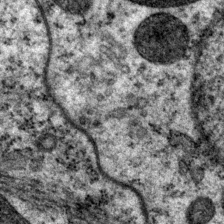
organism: P. pacificus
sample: Pharynx